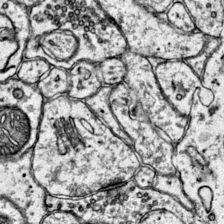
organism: Mouse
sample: Primary visual cortex